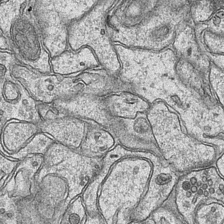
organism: Mouse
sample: CA1 Hippocampus